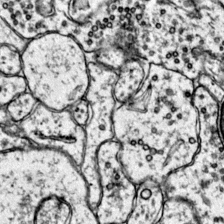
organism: Mouse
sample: Primary visual cortex